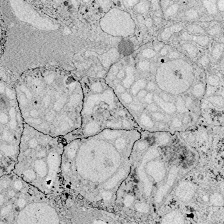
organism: Zebrafish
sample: Whole-Brain